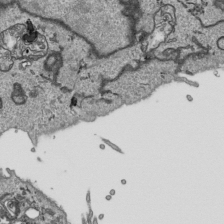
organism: Human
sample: Mitochondria in HCT116 cells